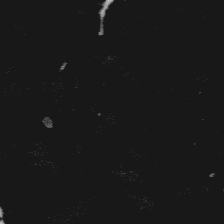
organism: Platynereis dumerilii